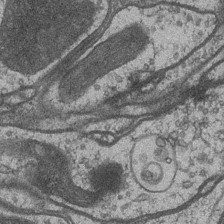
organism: Drosophila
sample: Optic medulla